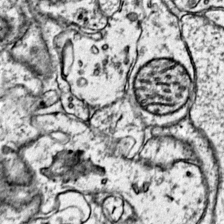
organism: Mouse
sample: Primary visual cortex